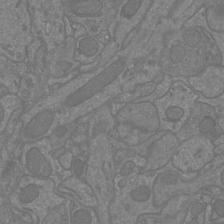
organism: Mouse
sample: Cortical neurons